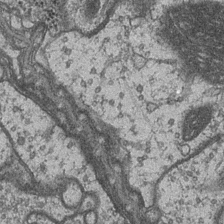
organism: Drosophila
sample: Optic medulla